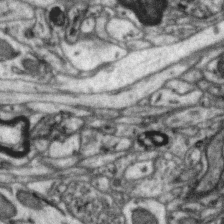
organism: Zebra finch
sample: Brain